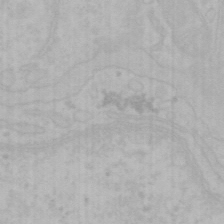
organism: Mouse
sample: Choroid plexus